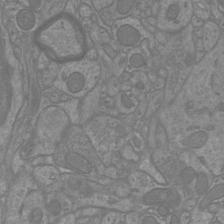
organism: Mouse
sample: Cortical neurons